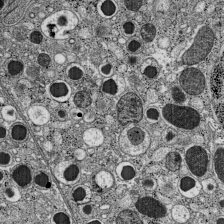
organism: C57BL Mouse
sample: Pancreatic islet